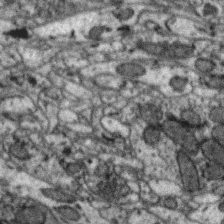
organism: Zebra finch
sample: Brain